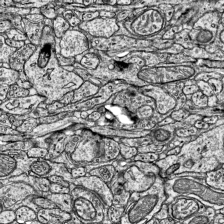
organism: Mouse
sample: Visual Cortex